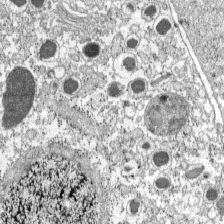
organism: C57BL Mouse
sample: Pancreatic islet